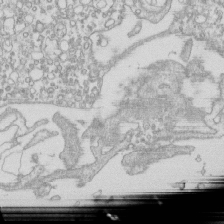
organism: Mouse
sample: Macrophages